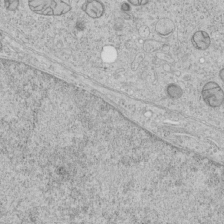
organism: Human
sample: Mitochondria in HCT116 cells